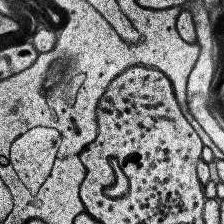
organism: Human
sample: Temporal Lobe